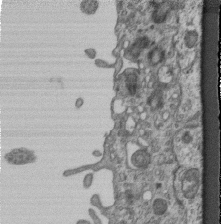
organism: Mouse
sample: Centriole in ependymal cells